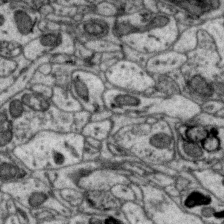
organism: Zebra finch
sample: Brain